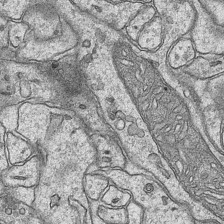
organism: Mouse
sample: CA1 Hippocampus